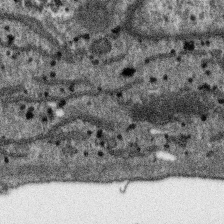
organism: Human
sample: Lung epithelial cells infected with SARS-CoV-2